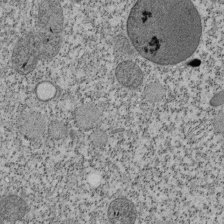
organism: Tetrahymena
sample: Cilia in tetrahymena